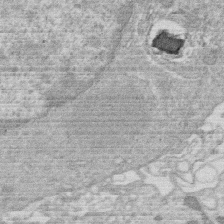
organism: Human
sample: Macrophage cells